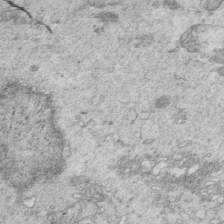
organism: Mouse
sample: Multiciliated cells